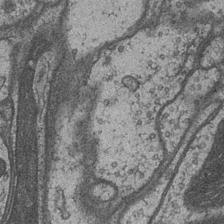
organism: Drosophila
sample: Optic medulla